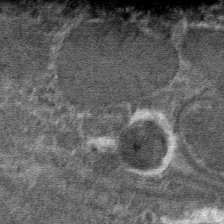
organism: Mouse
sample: Mouse hepatocytes